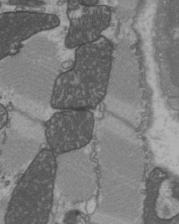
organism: C57BL Mouse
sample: Heart